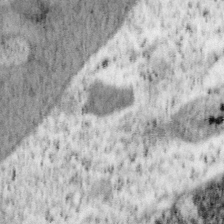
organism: Mouse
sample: OT-I killer T cells with ID8 ovarian cancer cells